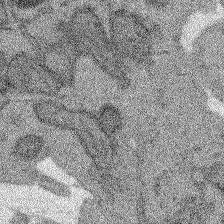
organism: Human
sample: HeLa cells